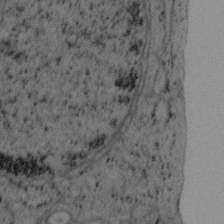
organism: Human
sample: HeLa cells